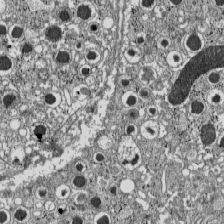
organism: C57BL Mouse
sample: Pancreatic islet